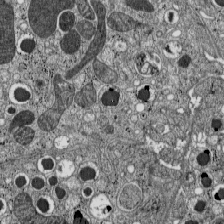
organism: C57BL Mouse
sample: Pancreatic islet